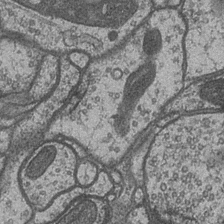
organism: Drosophila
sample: Optic medulla